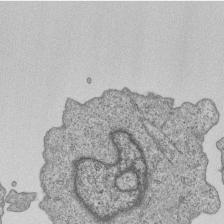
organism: Human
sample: MDA-MB-231 cells